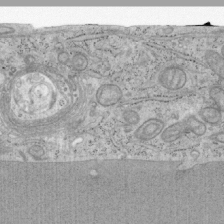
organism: Human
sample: HeLa cells